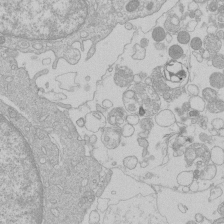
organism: Human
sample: Macrophage cells